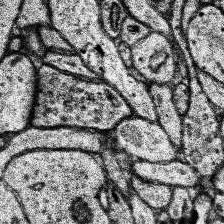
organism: Human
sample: Temporal Lobe